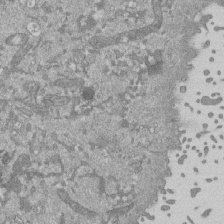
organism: Mouse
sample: ED-1 cell nuclei; centrioles